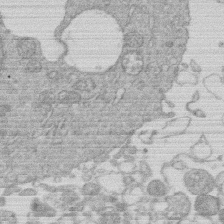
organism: Human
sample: Macrophage cells